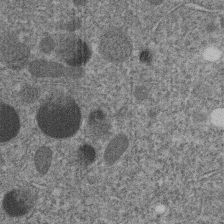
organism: C. elegans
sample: C. elegans embryo early stage